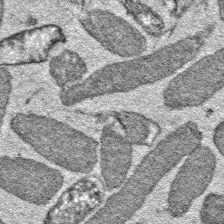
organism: E. coli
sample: E. Coli Bacteria